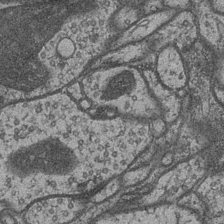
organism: Drosophila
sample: Optic medulla